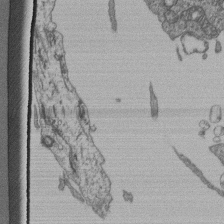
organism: Human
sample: Retinal organoid Rod and Cone cells